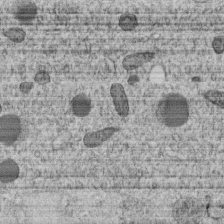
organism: C. elegans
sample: C. elegans embryo early stage